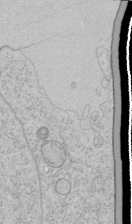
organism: Human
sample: Mitochondria in HCT116 cells